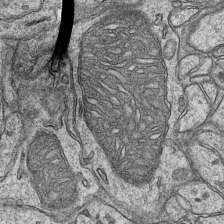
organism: Mouse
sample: CA1 Hippocampus